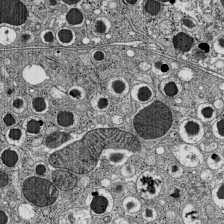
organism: C57BL Mouse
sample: Pancreatic islet